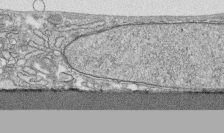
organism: Human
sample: CRL-1474